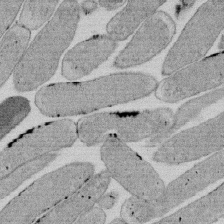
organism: E. coli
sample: Bacterial nucleoid